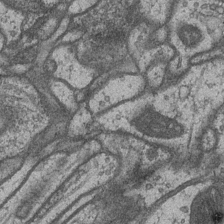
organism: Drosophila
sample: Optic medulla